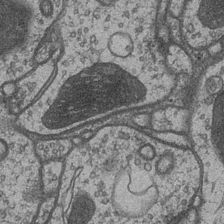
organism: Drosophila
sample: Optic medulla